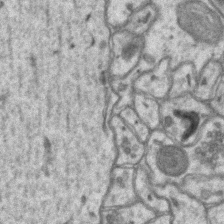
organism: Mouse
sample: CA1 Hippocampus